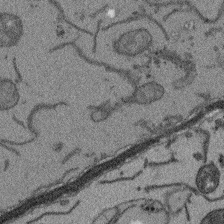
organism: Arabidopsis thaliana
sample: Root tip